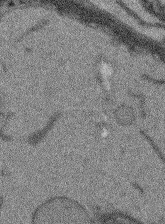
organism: Arabidopsis thaliana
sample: Root tip